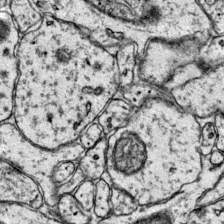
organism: Mouse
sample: Primary visual cortex